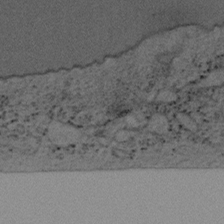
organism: Human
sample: HeLa cells